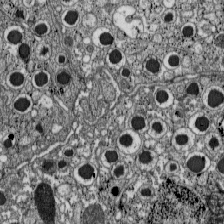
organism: C57BL Mouse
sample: Pancreatic islet